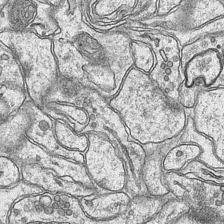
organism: Mouse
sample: CA1 Hippocampus